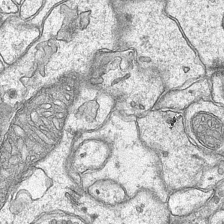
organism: Mouse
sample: CA1 Hippocampus